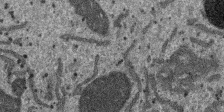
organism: Human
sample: Lung epithelial cells infected with SARS-CoV-2